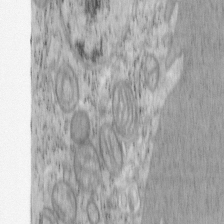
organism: Human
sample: HeLa cells